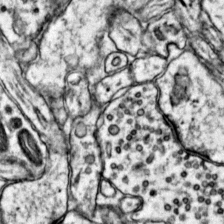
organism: Mouse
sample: Primary visual cortex